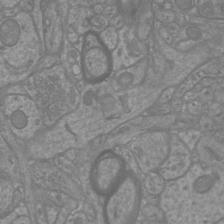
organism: Mouse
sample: Cortical neurons